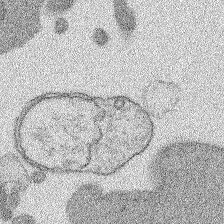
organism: Human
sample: HeLa cells